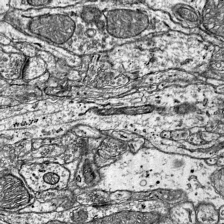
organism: Mouse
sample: Visual Cortex